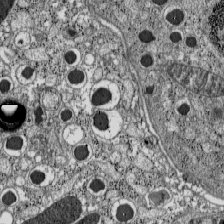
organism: C57BL Mouse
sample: Pancreatic islet